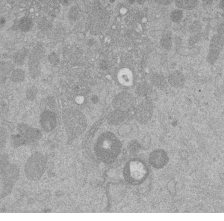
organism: Mouse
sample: Dividing mouse embryo 1 cell stage